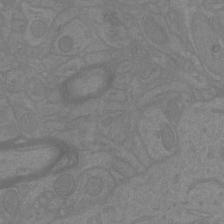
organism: Mouse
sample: Cortical neurons